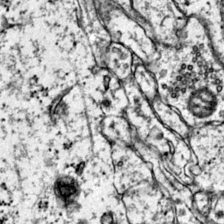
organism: Mouse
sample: Primary visual cortex